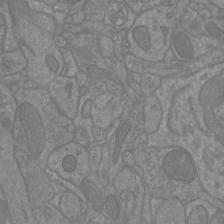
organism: Mouse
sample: Cortical neurons